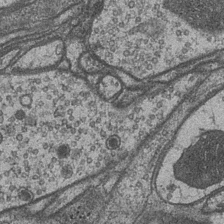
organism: Drosophila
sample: Optic medulla